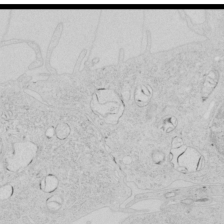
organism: Human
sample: Mitochondria in HCT116 cells